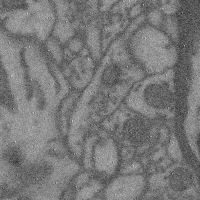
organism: Mouse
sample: Cerebral cortex